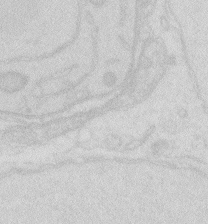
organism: Zebrafish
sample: Macrophage